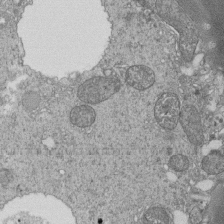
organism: Tetrahymena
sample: Cilia in tetrahymena